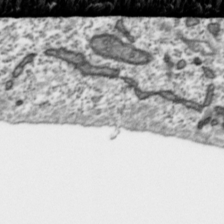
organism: Toxoplasma gondii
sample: Parasites in a vacuole inside a host cell